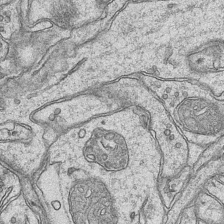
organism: Mouse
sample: CA1 Hippocampus